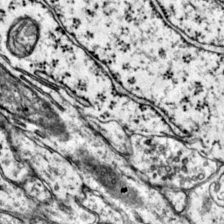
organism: Mouse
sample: Primary visual cortex